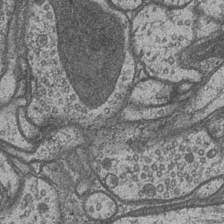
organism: Drosophila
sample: Optic medulla